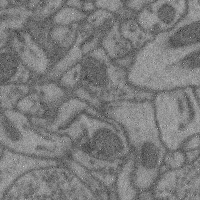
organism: Mouse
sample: Cerebral cortex